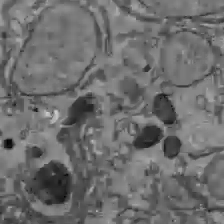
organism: C57BL Mouse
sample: Liver